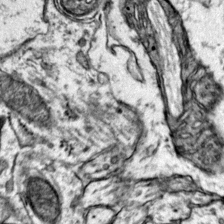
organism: Mouse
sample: Primary visual cortex